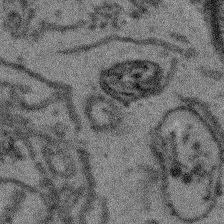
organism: Arabidopsis thaliana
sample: Root tip